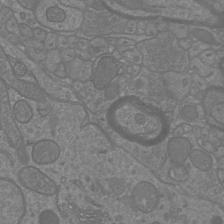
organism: Mouse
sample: Cortical neurons